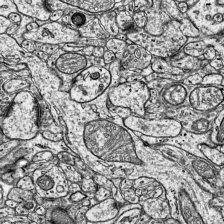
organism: Mouse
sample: Visual Cortex